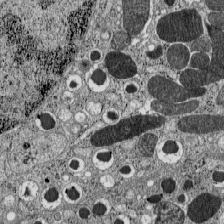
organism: C57BL Mouse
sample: Pancreatic islet